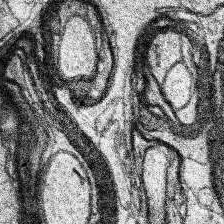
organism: Human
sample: Temporal Lobe